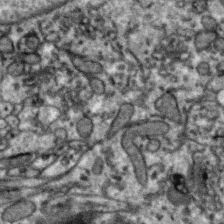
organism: Zebra finch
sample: Brain